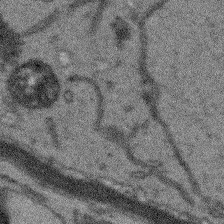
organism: Arabidopsis thaliana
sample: Root tip